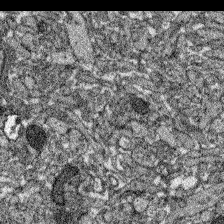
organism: Zebrafish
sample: Larval olfactory bulb